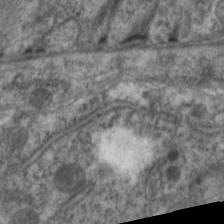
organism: C. elegans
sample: Pharynx